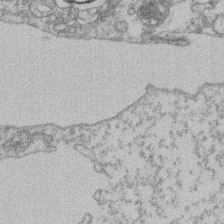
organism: Mouse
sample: T cell stromal cell synapse